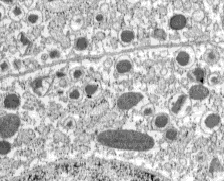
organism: C57BL Mouse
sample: Pancreatic islet